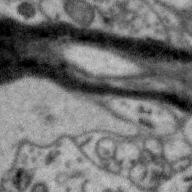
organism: Zebra finch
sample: Brain